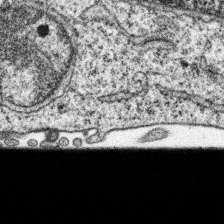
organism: Human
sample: HeLa cells